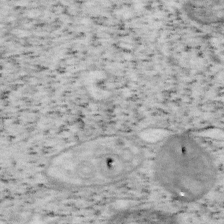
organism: Mouse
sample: OT-I killer T cells with ID8 ovarian cancer cells